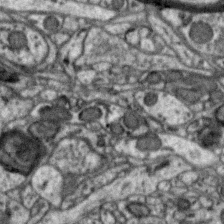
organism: Zebra finch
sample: Brain